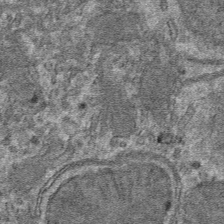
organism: Mouse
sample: Mouse hepatocytes